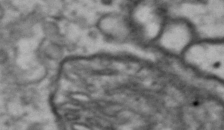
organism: Drosophila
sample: Brain